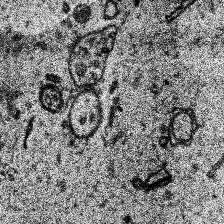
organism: Human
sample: Temporal Lobe